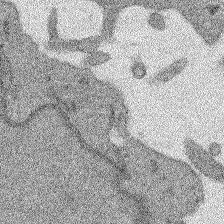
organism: Human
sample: HeLa cells